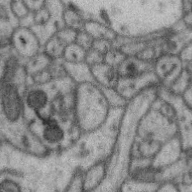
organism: Zebra finch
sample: Brain